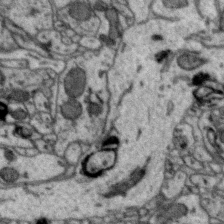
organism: Zebra finch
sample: Brain